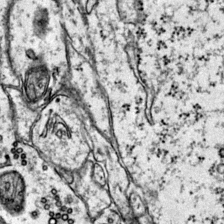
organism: Mouse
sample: Primary visual cortex